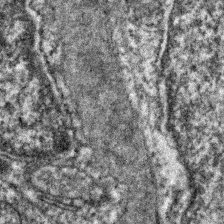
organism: Zebrafish